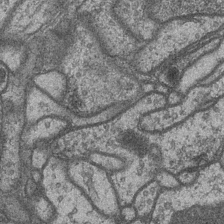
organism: Drosophila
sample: Optic medulla